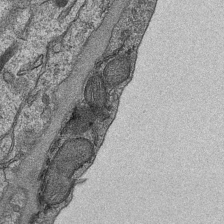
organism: Mouse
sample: CA1 Hippocampus